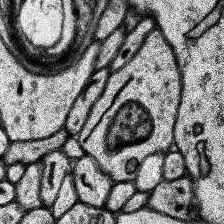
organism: Human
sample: Temporal Lobe